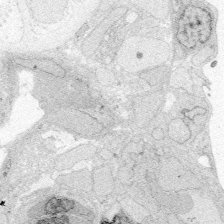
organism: Zebrafish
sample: Whole-Brain